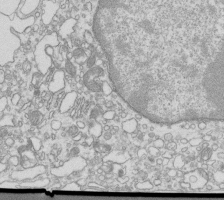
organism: Mouse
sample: Macrophages